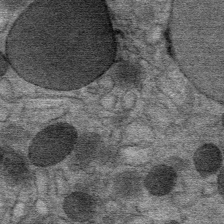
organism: Mouse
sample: Mouse Salivary gland